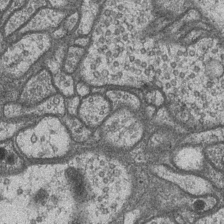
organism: Drosophila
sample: Optic medulla